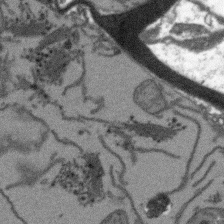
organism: Arabidopsis thaliana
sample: Root tip